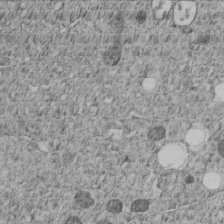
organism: C. elegans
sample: C. elegans embryo early stage